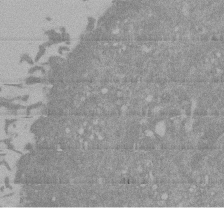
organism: Mouse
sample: ED-1 cell nuclei; centrioles